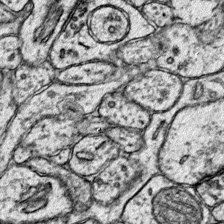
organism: Mouse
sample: Primary visual cortex